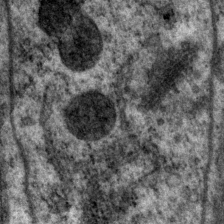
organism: P. pacificus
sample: Pharynx